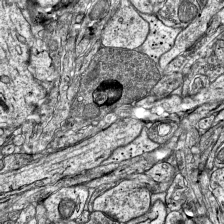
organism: Mouse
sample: Visual Cortex